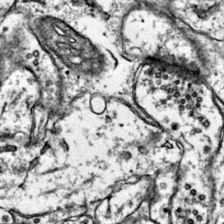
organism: Mouse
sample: Primary visual cortex